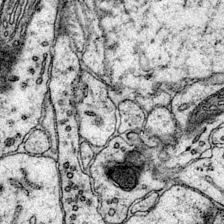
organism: Mouse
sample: Primary visual cortex